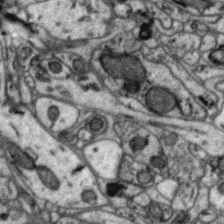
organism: Zebra finch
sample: Brain